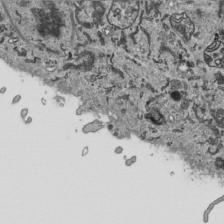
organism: Human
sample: Mitochondria in HCT116 cells